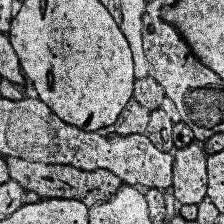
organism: Human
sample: Temporal Lobe